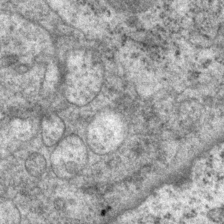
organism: P. pacificus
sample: Pharynx